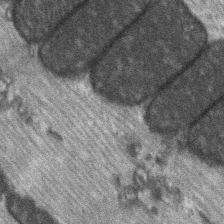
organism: C57BL Mouse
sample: Soleus